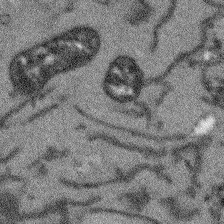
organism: Arabidopsis thaliana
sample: Root tip